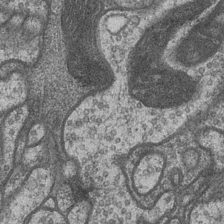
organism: Drosophila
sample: Optic medulla